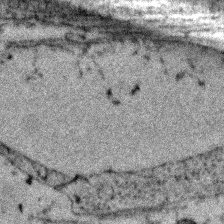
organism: Zebrafish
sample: Zebrafish embryo